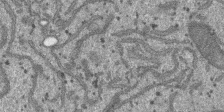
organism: Human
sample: Lung epithelial cells infected with SARS-CoV-2